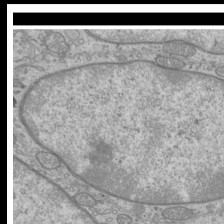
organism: Mouse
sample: Cilia; mouse epididymis